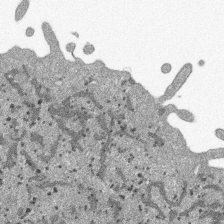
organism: Human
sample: Lung epithelial cells infected with SARS-CoV-2